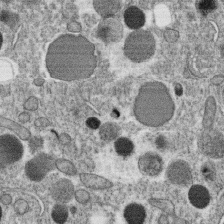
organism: C. elegans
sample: C. elegans oocyte; sperm cells